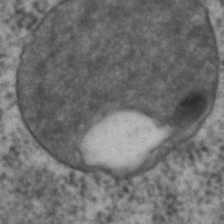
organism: C. elegans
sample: C. elegans embryo